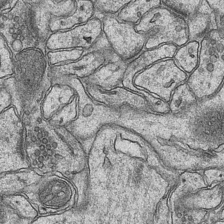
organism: Mouse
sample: CA1 Hippocampus